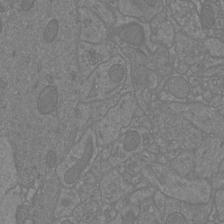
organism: Mouse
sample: Cortical neurons